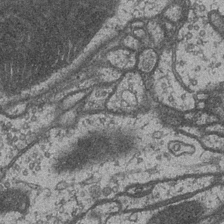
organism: Drosophila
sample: Optic medulla